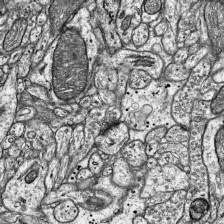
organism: Mouse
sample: Visual Cortex